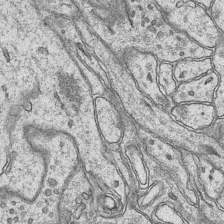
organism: Mouse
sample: CA1 Hippocampus